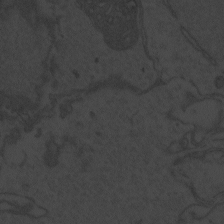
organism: Zebrafish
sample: Macrophage infected with Toxoplasma gondii